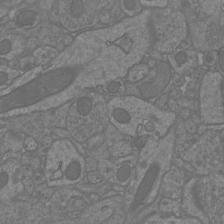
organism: Mouse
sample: Cortical neurons